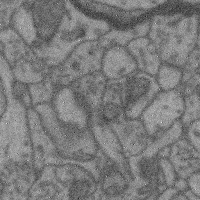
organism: Mouse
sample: Cerebral cortex